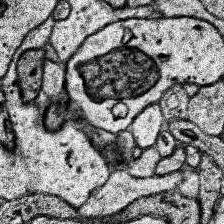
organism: Human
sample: Temporal Lobe